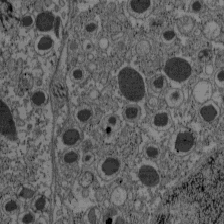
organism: C57BL Mouse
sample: Pancreatic islet